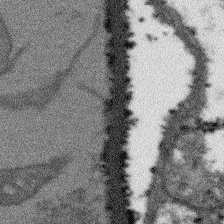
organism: Arabidopsis thaliana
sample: Root tip